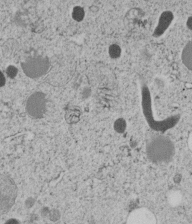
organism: C. elegans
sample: C. elegans embryo early stage